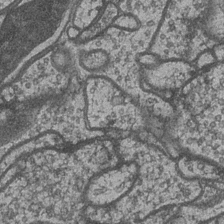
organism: Drosophila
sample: Optic medulla